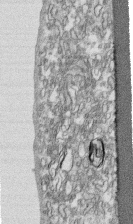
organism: Human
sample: CRL-1474